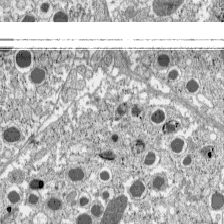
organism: C57BL Mouse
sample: Pancreatic islet